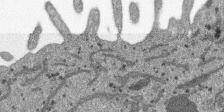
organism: Human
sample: Lung epithelial cells infected with SARS-CoV-2